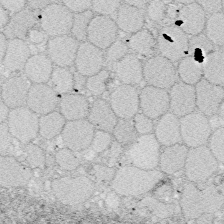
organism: Zebrafish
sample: Whole-Brain